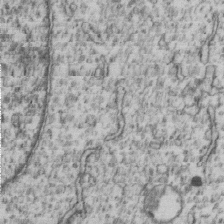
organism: Human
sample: MDA-MB-231 cells